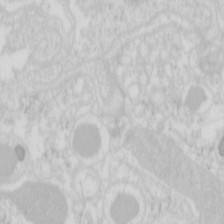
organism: Mouse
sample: Pancreas